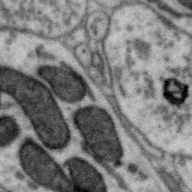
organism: Zebra finch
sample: Brain